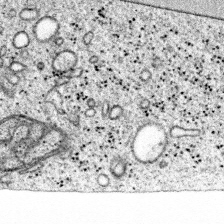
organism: Human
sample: HeLa cells